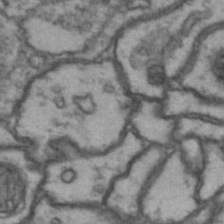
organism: Drosophila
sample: Brain